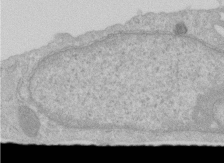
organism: Human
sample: Centriole in RPE cells